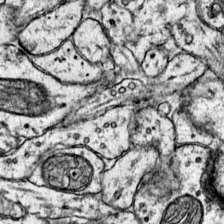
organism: Mouse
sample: Primary visual cortex